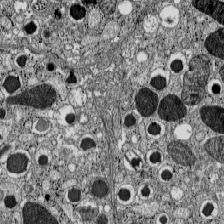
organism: C57BL Mouse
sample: Pancreatic islet